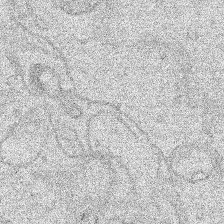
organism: Human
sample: Mitochondria in HCT116 cells